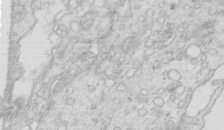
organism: Mouse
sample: Multiciliated cells